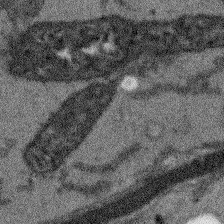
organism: Arabidopsis thaliana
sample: Root tip